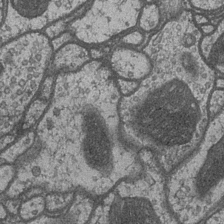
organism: Drosophila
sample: Optic medulla